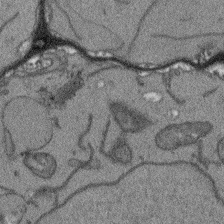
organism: Arabidopsis thaliana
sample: Root tip